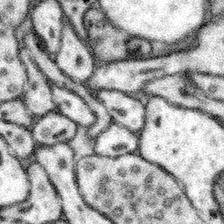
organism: Mouse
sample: Somatosensory cortex neuropil